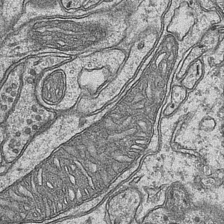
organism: Mouse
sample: CA1 Hippocampus